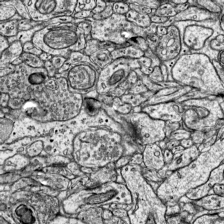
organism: Mouse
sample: Visual Cortex